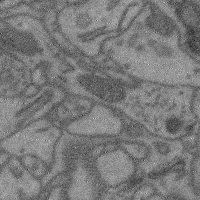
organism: Mouse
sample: Cerebral cortex